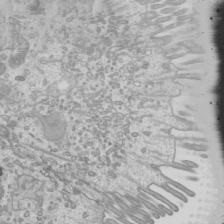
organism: Mouse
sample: Cilia; mouse epididymis